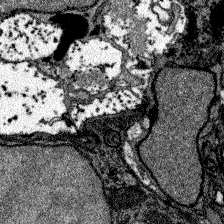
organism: Zebrafish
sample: Larval olfactory bulb